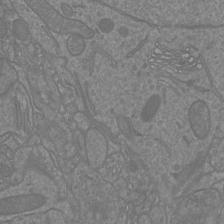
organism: Mouse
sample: Cortical neurons